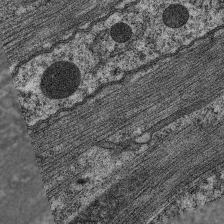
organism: C. elegans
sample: Pharynx